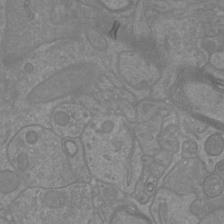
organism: Mouse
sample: Cortical neurons